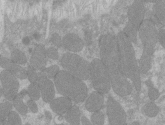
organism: C57BL Mouse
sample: Tibialis anterior muscle cell